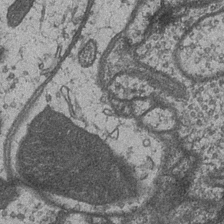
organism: Drosophila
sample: Optic medulla